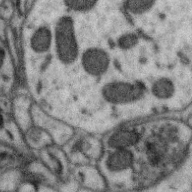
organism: Zebra finch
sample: Brain